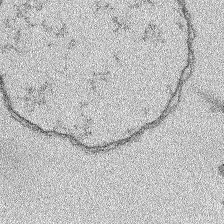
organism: Human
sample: HeLa cells